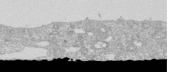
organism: Human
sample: Caco-2 cells